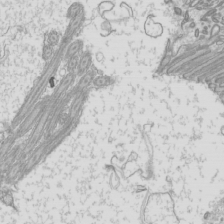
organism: Mouse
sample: Cilia; mouse epididymis